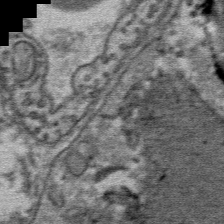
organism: Mouse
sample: Mouse Salivary gland